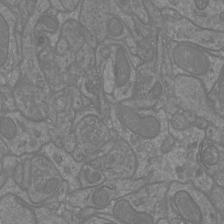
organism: Mouse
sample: Cortical neurons